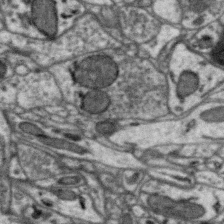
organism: Zebra finch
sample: Brain